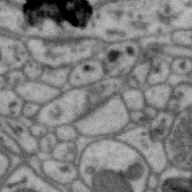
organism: Zebra finch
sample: Brain